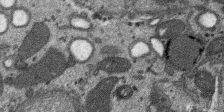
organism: Human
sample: Lung epithelial cells infected with SARS-CoV-2